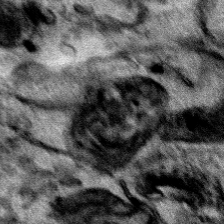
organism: Human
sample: Mitochondria in HCT116 cells